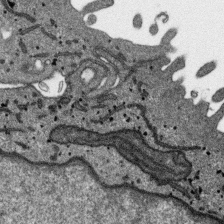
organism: Human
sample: Lung epithelial cells, uninfected (mock) control